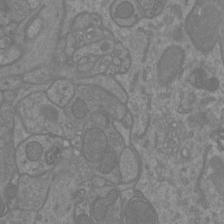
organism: Mouse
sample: Cortical neurons